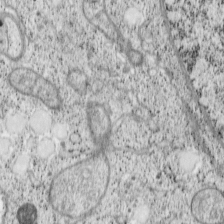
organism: African green monkey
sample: COS-7 cells